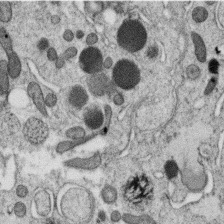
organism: C. elegans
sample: C. elegans oocyte; sperm cells